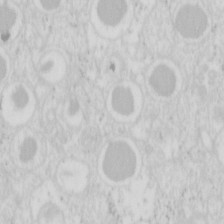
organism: Mouse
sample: Pancreas